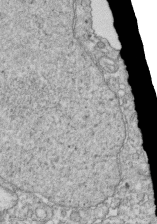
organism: Human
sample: HeLa cell HIV synapse